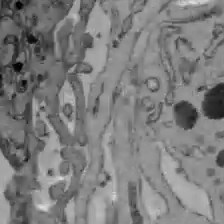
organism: C57BL Mouse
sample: Liver